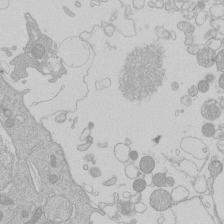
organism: Human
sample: Macrophage cells